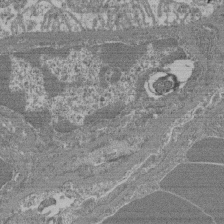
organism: Mouse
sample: Glomerulus